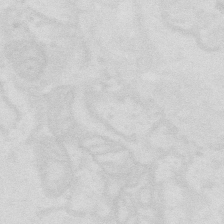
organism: Human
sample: HeLa cells